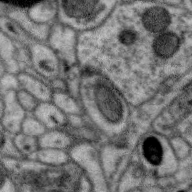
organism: Zebra finch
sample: Brain